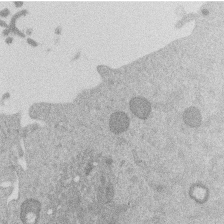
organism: Mouse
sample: Dividing mouse embryo 1 cell stage